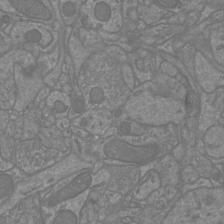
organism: Mouse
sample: Cortical neurons